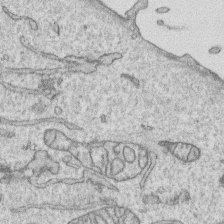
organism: Human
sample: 1205lu cells